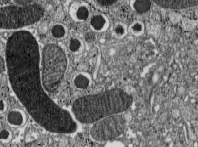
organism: C57BL Mouse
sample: Pancreatic islet